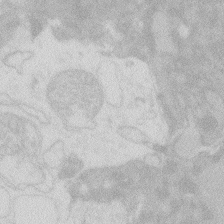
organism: Zebrafish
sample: Macrophage